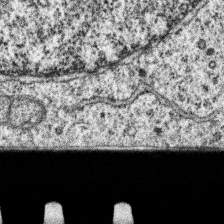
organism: Human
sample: HeLa cells